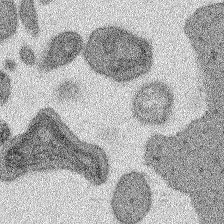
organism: Human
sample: HeLa cells